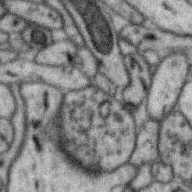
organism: Zebra finch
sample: Brain